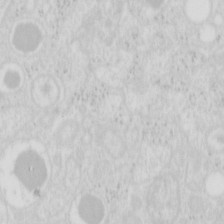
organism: Mouse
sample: Pancreas